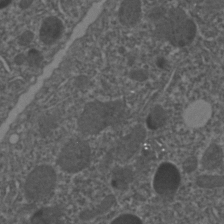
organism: C. elegans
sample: C. elegans embryo